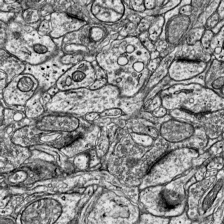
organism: Mouse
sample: Visual Cortex